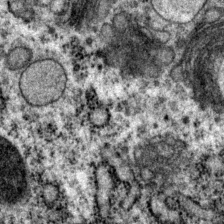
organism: P. pacificus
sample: Pharynx